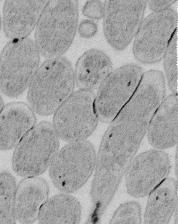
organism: E. coli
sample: Bacterial nucleoid